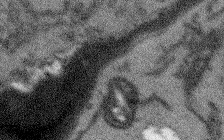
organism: Arabidopsis thaliana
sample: Root tip